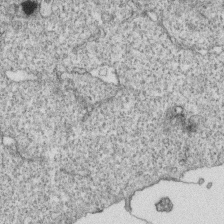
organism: Human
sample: HeLa cell HIV synapse